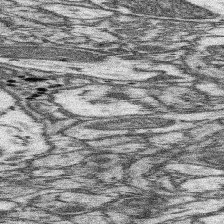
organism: Mouse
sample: Somatosensory cortex neuropil